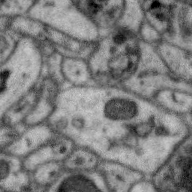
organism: Zebra finch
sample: Brain